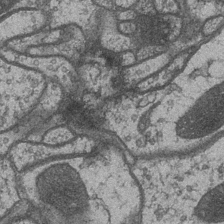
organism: Drosophila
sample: Optic medulla